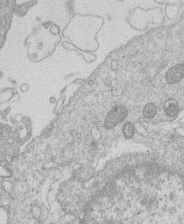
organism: Human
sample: Macrophage cells